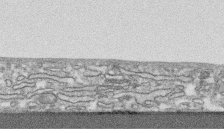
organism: Human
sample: CRL-1474